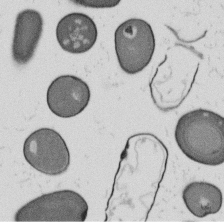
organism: B. subtilis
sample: Bacterial spore